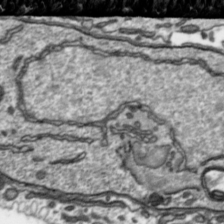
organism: Toxoplasma gondii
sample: Parasites in a vacuole inside a host cell